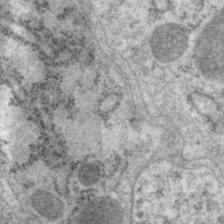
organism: P. pacificus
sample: Pharynx